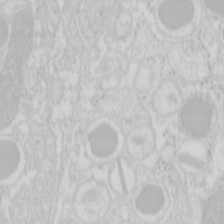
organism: Mouse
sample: Pancreas